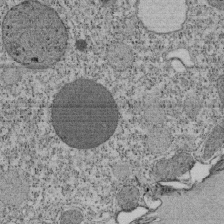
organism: Tetrahymena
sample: Cilia in tetrahymena